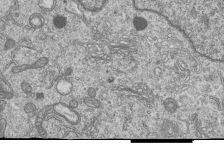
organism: Human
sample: MDA-MB-231 cells